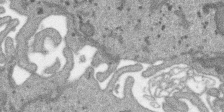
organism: Human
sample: Lung epithelial cells infected with SARS-CoV-2